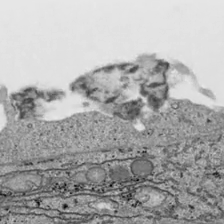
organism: Human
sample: HeLa cells